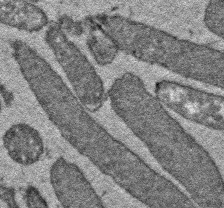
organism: E. coli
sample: E. Coli Bacteria